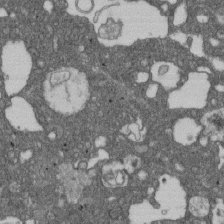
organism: Drosophila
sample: Nephrocyte